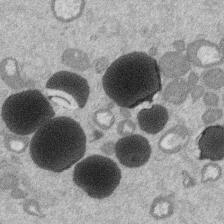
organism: Mouse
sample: Dividing mouse embryo 1 cell stage